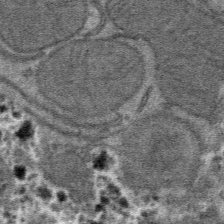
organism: Mouse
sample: Mouse hepatocytes